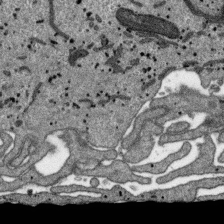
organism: Human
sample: Lung epithelial cells, uninfected (mock) control